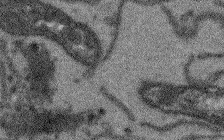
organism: Arabidopsis thaliana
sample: Root tip